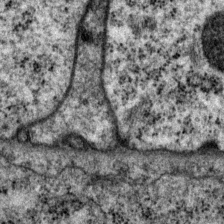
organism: P. pacificus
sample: Pharynx